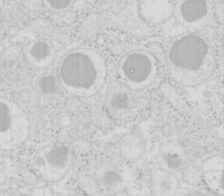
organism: Mouse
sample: Pancreas